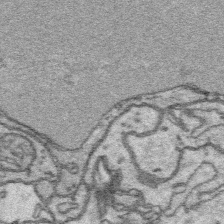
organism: Platynereis dumerilii